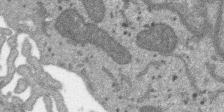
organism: Human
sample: Lung epithelial cells infected with SARS-CoV-2